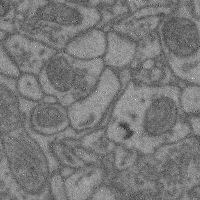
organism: Mouse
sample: Cerebral cortex